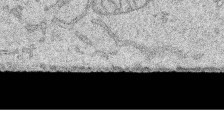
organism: Human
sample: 1205lu cells